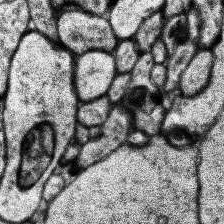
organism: Human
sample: Temporal Lobe